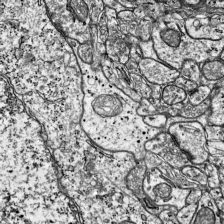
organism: Mouse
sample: Visual Cortex